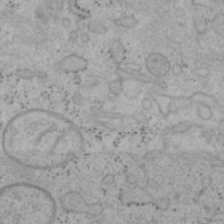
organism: Human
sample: HeLa cells